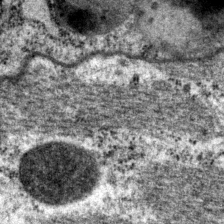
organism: P. pacificus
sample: Pharynx